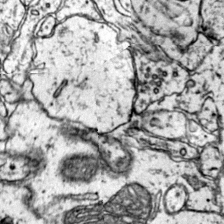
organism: Mouse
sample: Primary visual cortex